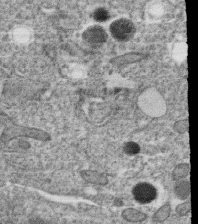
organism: C. elegans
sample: C. elegans oocyte; sperm cells